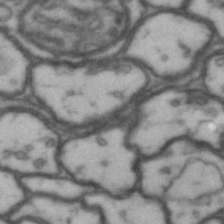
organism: Drosophila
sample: Brain